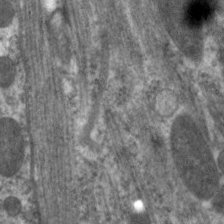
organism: C. elegans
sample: Pharynx